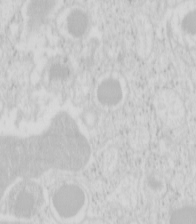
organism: Mouse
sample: Pancreas